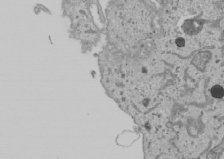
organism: Human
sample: Mitochondria in U2OS cells